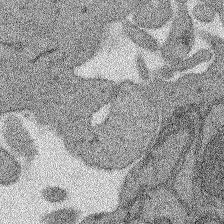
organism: Human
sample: HeLa cells